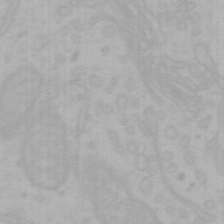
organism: Mouse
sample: Choroid plexus